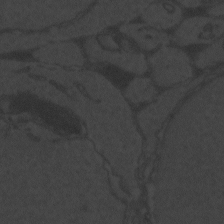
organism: Zebrafish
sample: Macrophage infected with Toxoplasma gondii